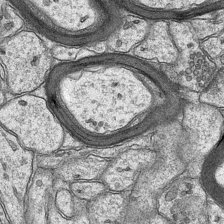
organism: Mouse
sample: CA1 Hippocampus